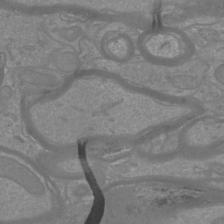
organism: Mouse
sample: Cortical neurons